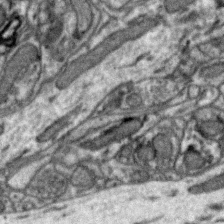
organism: Zebra finch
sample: Brain